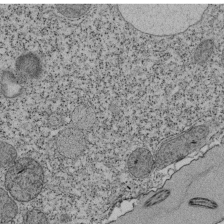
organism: Tetrahymena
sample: Cilia in tetrahymena